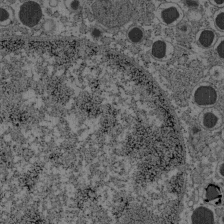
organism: C57BL Mouse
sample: Pancreatic islet